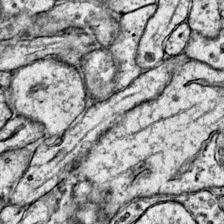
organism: Mouse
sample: Primary visual cortex